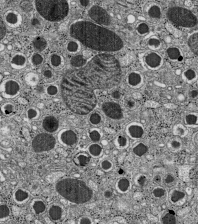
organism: C57BL Mouse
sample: Pancreatic islet